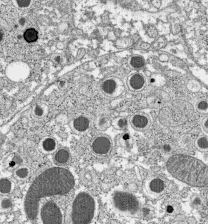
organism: C57BL Mouse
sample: Pancreatic islet